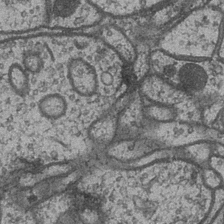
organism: Drosophila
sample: Optic medulla